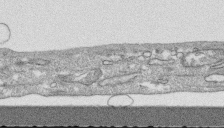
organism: Human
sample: CRL-1474